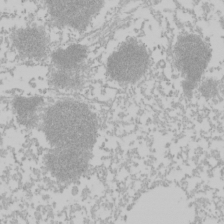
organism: Mouse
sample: Cancer cell death in ED-1 cells